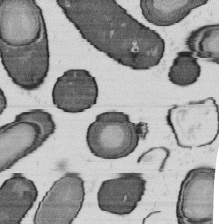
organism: B. subtilis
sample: Bacterial spore